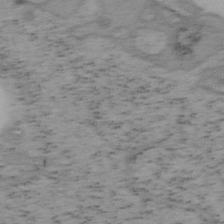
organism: Mouse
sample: OT-I killer T cells with ID8 ovarian cancer cells